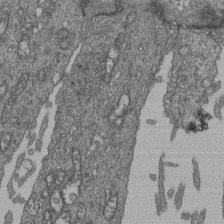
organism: Human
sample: Retinal organoid Rod and Cone cells